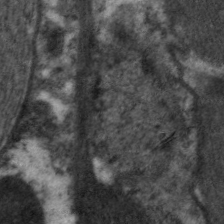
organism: C. elegans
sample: Pharynx